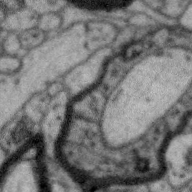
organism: Zebra finch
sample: Brain